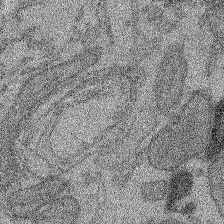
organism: Human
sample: HeLa cells